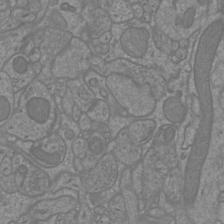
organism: Mouse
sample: Cortical neurons